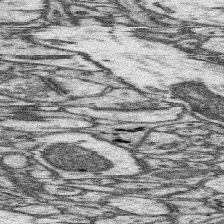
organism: Mouse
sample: Somatosensory cortex neuropil